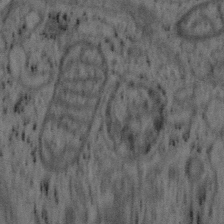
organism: Human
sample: HeLa cells